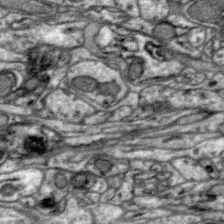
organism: Zebra finch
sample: Brain